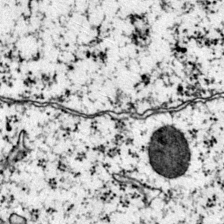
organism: Mouse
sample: Primary visual cortex